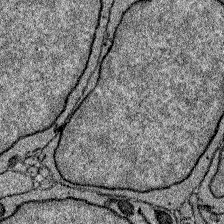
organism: Zebrafish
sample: Larval olfactory bulb